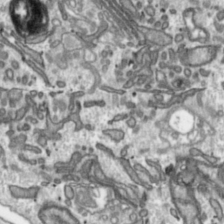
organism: Toxoplasma gondii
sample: Parasites in a vacuole inside a host cell